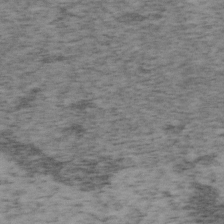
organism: Mouse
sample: OT-I killer T cells with ID8 ovarian cancer cells